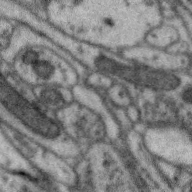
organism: Zebra finch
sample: Brain